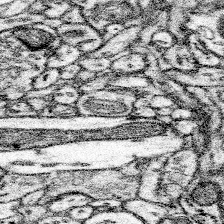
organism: Mouse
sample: Somatosensory cortex neuropil